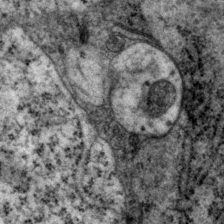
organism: P. pacificus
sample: Pharynx